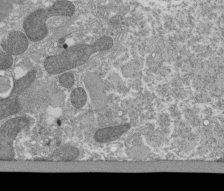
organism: Tetrahymena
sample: Cilia in tetrahymena